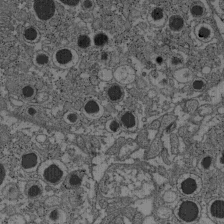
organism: C57BL Mouse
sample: Pancreatic islet